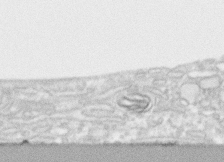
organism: Human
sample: CRL-1474